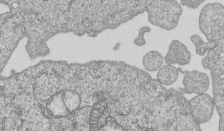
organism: Human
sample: MDA-MB-231 cells